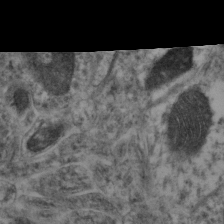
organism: Mouse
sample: Neocortex